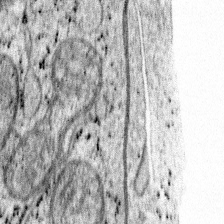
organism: Human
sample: HeLa cells